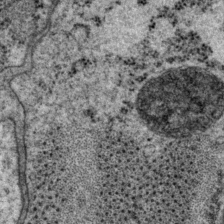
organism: P. pacificus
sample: Pharynx